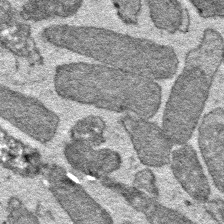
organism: E. coli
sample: E. Coli Bacteria